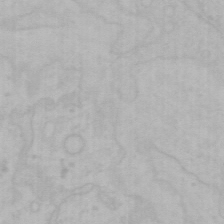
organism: Mouse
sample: Choroid plexus